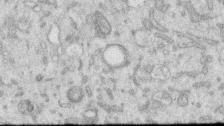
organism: Human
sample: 1205lu cells